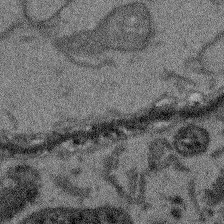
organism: Arabidopsis thaliana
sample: Root tip